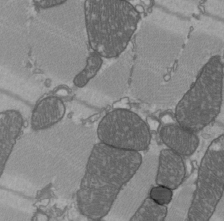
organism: C57BL Mouse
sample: Heart